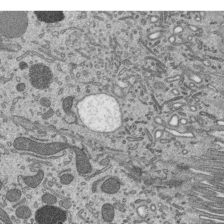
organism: Mouse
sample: Mouse epididymis efferent ductule cilia